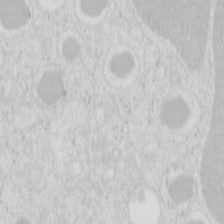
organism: Mouse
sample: Pancreas